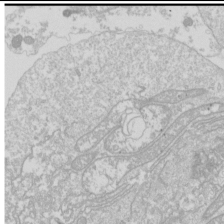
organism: Drosophila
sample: Cell division; meiosis; drosophila spermatocytes